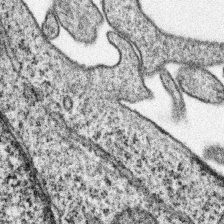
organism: Human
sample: HeLa cells